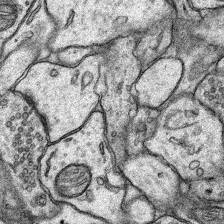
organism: Rat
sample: Hippocampus